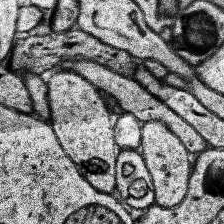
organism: Human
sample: Temporal Lobe